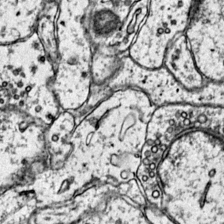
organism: Mouse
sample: Primary visual cortex